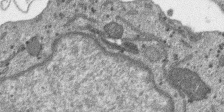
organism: Human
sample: Lung epithelial cells infected with SARS-CoV-2